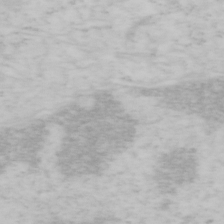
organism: Mouse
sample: OT-I killer T cells with ID8 ovarian cancer cells